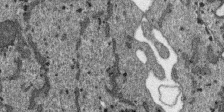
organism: Human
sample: Lung epithelial cells infected with SARS-CoV-2